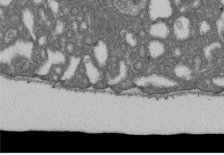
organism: Drosophila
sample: Nephrocyte